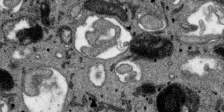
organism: Human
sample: Lung epithelial cells, uninfected (mock) control